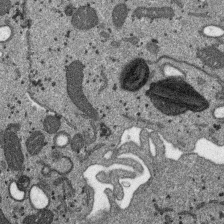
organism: Human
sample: Lung epithelial cells infected with SARS-CoV-2